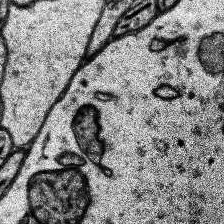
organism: Human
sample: Temporal Lobe